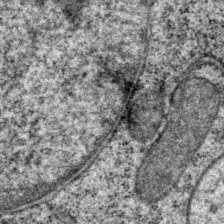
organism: P. pacificus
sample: Pharynx